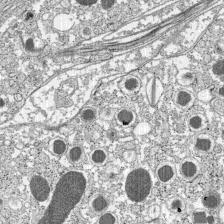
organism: C57BL Mouse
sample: Pancreatic islet